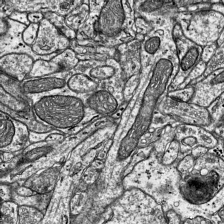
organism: Mouse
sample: Visual Cortex